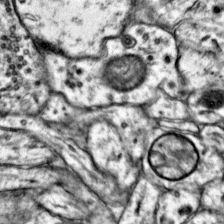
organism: Mouse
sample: Primary visual cortex